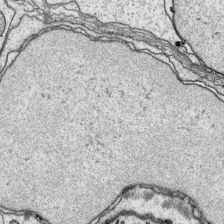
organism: Platynereis dumerilii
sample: Parapodia